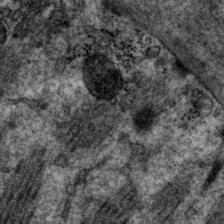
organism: P. pacificus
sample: Pharynx